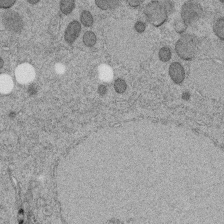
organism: C. elegans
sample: C. elegans embryo early stage